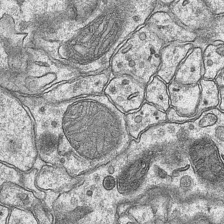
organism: Mouse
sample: CA1 Hippocampus